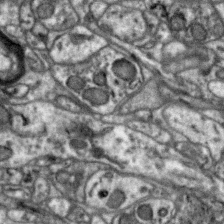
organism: Zebra finch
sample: Brain